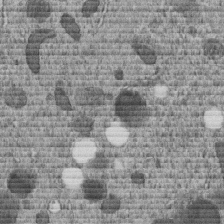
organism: C. elegans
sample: C. elegans embryo early stage